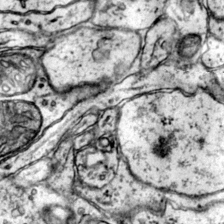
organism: Mouse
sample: Primary visual cortex